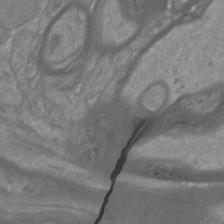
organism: Mouse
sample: Cortical neurons